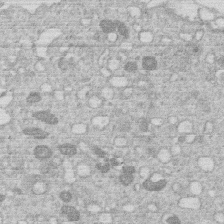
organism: Human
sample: Macrophage cells